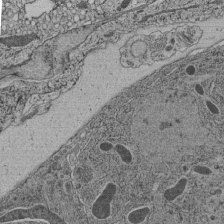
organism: C. elegans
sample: C. elegans pharynx